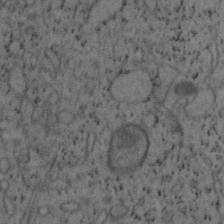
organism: Human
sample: HeLa cells